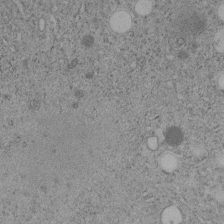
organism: C. elegans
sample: C. elegans embryo early stage